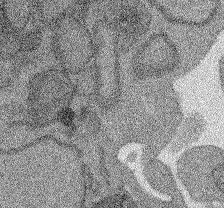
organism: Human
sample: HeLa cells